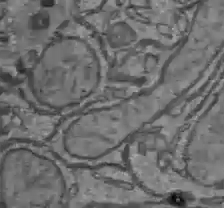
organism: C57BL Mouse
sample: Liver